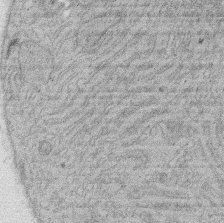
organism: Rat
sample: Salivary granule